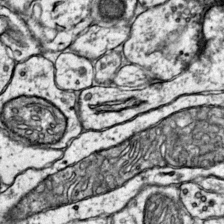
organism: Mouse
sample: Primary visual cortex